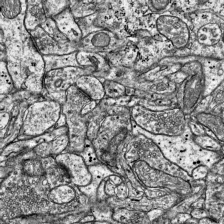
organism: Mouse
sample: Visual Cortex